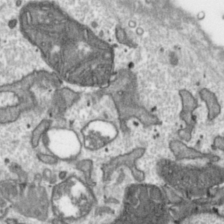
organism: Toxoplasma gondii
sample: Parasites in a vacuole inside a host cell